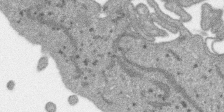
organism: Human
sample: Lung epithelial cells infected with SARS-CoV-2